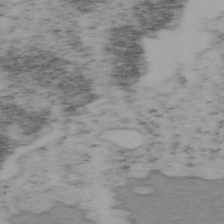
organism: Mouse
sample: OT-I killer T cells with ID8 ovarian cancer cells